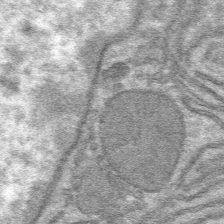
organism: Mouse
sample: Mouse hepatocytes